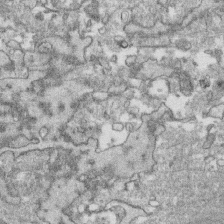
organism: Human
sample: CRL-1474